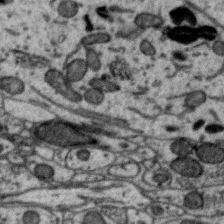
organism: Zebra finch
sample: Brain